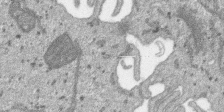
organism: Human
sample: Lung epithelial cells infected with SARS-CoV-2